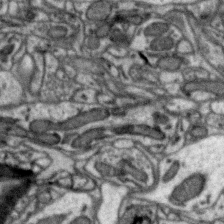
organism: Zebra finch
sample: Brain